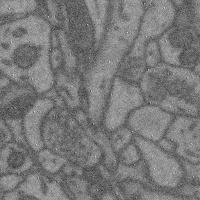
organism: Mouse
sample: Cerebral cortex